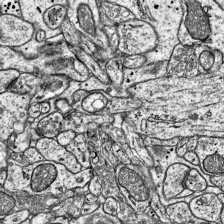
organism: Mouse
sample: Visual Cortex